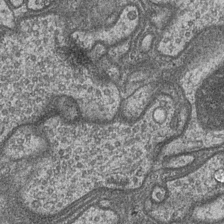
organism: Drosophila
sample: Optic medulla